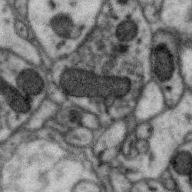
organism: Zebra finch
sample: Brain